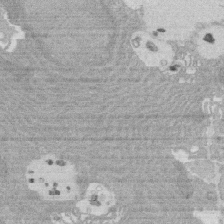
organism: Rat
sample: Salivary granule